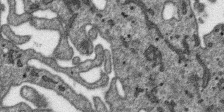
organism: Human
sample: Lung epithelial cells infected with SARS-CoV-2